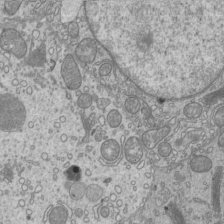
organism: Mouse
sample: Cilia; mouse epididymis